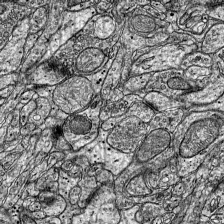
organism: Mouse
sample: Visual Cortex